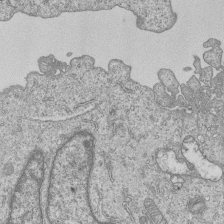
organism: Human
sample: MDA-MB-231 cells